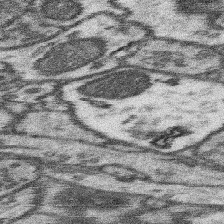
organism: Mouse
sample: Somatosensory cortex neuropil